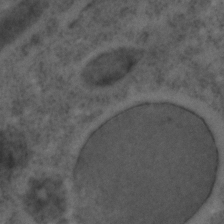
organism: C. elegans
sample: C. elegans embryo